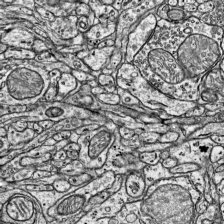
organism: Mouse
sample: Visual Cortex